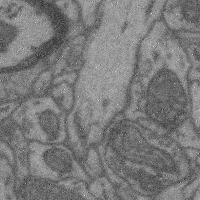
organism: Mouse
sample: Cerebral cortex